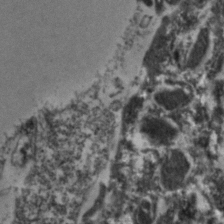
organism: Zebrafish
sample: Zebrafish embryo